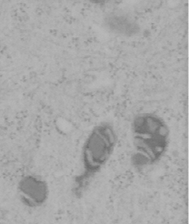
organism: Mouse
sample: OT-I killer T cells with ID8 ovarian cancer cells